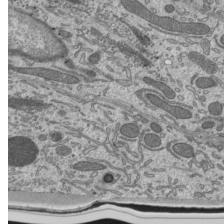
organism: Mouse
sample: Mouse epididymis efferent ductule cilia